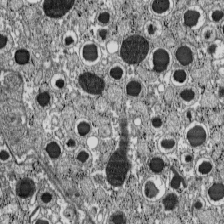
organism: C57BL Mouse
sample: Pancreatic islet